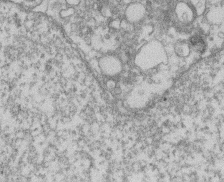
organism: Mouse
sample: T cell stromal cell synapse